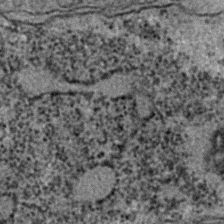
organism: C. elegans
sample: C. elegans embryo